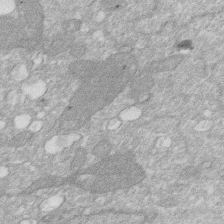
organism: Human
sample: HIV infected U937 cells